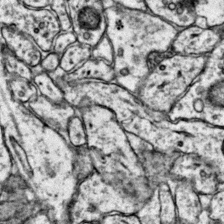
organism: Mouse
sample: Primary visual cortex